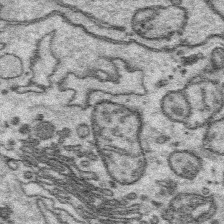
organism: Platynereis dumerilii